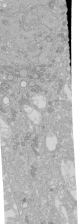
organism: Human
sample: Caco-2 cells